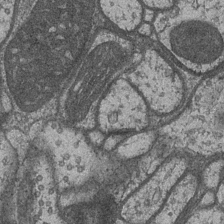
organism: Drosophila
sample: Optic medulla